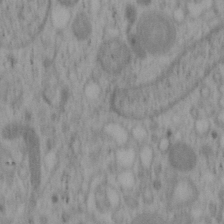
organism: Mouse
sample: OT-I killer T cells with ID8 ovarian cancer cells